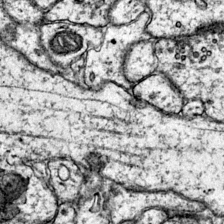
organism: Mouse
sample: Primary visual cortex